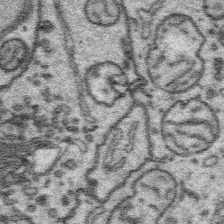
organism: Platynereis dumerilii